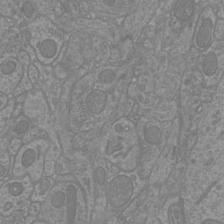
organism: Mouse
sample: Cortical neurons